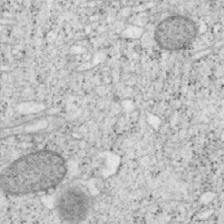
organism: Mouse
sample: OT-I killer T cells with ID8 ovarian cancer cells